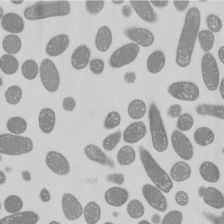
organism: E. coli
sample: Bacterial nucleoid